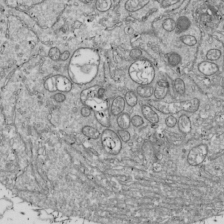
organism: Drosophila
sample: Cell division; meiosis; drosophila spermatocytes